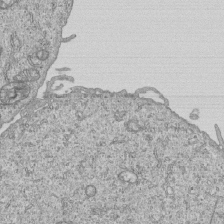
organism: Human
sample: MDA-MB-231 cells